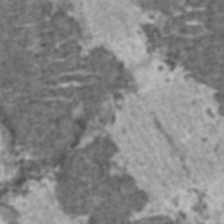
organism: C57BL Mouse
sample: Heart